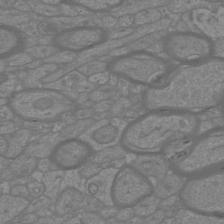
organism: Mouse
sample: Cortical neurons